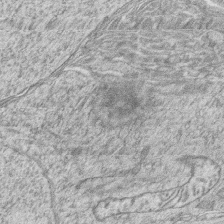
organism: Zebrafish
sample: synaptic ribbons in rod cells and cone cells